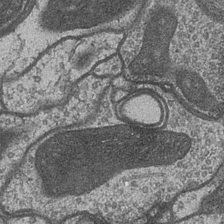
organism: Drosophila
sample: Optic medulla